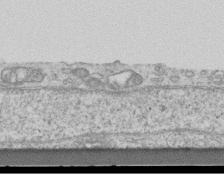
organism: Mouse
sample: Centriole in ependymal cells